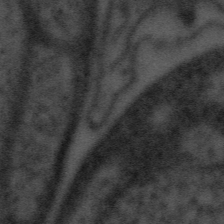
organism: Tuwongella immobilis